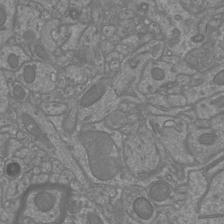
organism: Mouse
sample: Cortical neurons